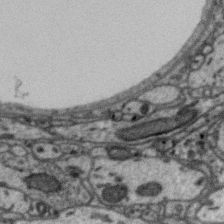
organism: Zebra finch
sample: Brain